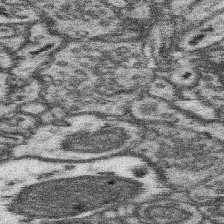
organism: Mouse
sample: Somatosensory cortex neuropil